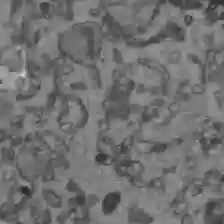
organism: C57BL Mouse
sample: Liver